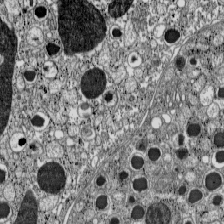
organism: C57BL Mouse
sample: Pancreatic islet